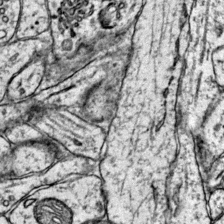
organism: Mouse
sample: Primary visual cortex